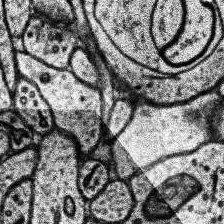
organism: Human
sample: Temporal Lobe